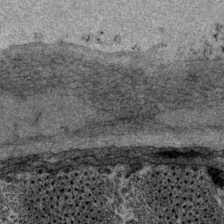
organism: P. pacificus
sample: Pharynx